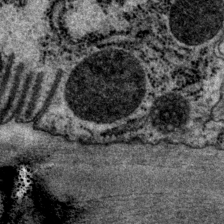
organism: P. pacificus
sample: Pharynx